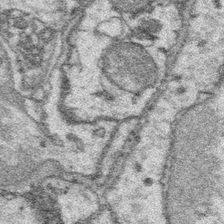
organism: Platynereis dumerilii